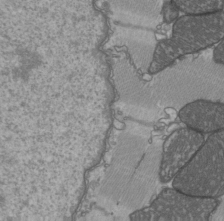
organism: C57BL Mouse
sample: Heart